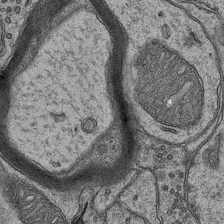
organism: Mouse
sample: CA1 Hippocampus